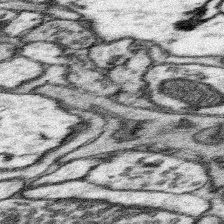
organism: Mouse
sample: Somatosensory cortex neuropil